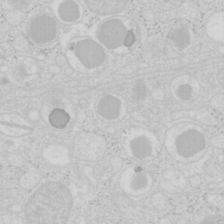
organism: Mouse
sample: Pancreas